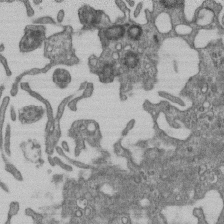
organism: Mouse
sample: Centriole in ependymal cells